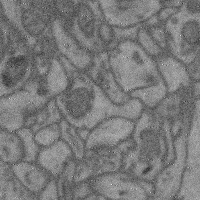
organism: Mouse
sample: Cerebral cortex